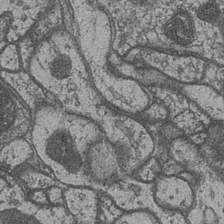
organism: Drosophila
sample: Optic medulla